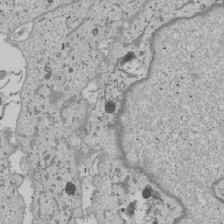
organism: Human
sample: Mitochondria in U2OS cells